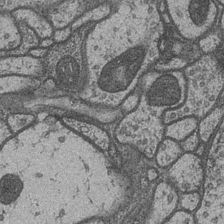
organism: Drosophila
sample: Optic medulla